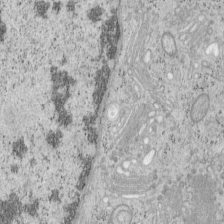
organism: Mouse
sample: OT-I killer T cells with ID8 ovarian cancer cells